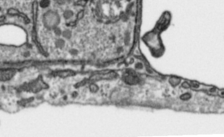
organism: Toxoplasma gondii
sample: Parasites in a vacuole inside a host cell